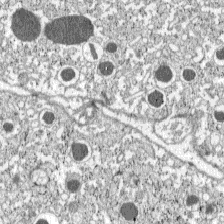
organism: C57BL Mouse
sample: Pancreatic islet